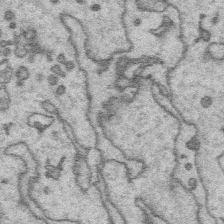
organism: Platynereis dumerilii